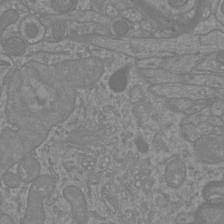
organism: Mouse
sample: Cortical neurons